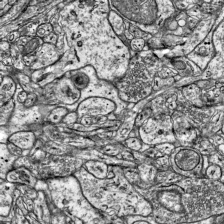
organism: Mouse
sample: Visual Cortex